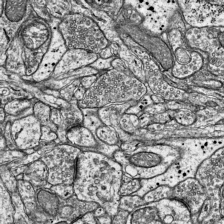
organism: Mouse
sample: Visual Cortex